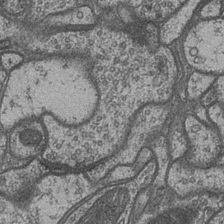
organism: Drosophila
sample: Optic medulla